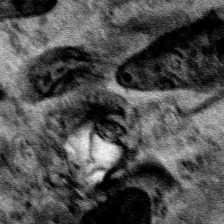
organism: Human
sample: Mitochondria in HCT116 cells